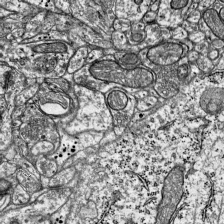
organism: Mouse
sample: Visual Cortex